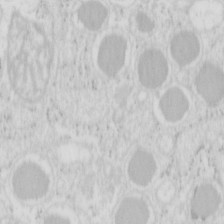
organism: Mouse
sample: Pancreas